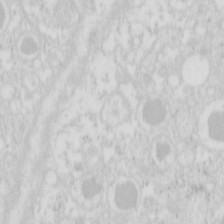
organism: Mouse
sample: Pancreas